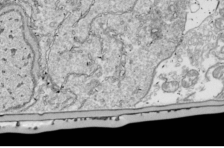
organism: Drosophila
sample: Cell division; meiosis; drosophila spermatocytes